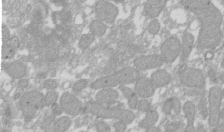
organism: Xenopus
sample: Cilia; centrioles in frog embryo cells